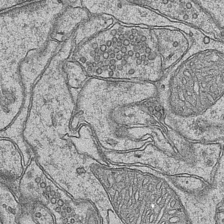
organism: Mouse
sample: CA1 Hippocampus